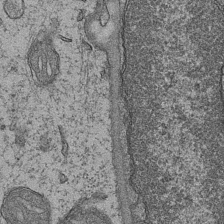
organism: Mouse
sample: CA1 Hippocampus